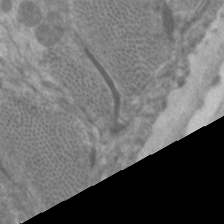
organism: C. elegans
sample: Pharynx